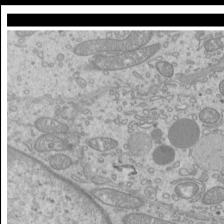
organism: Mouse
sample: Cilia; mouse epididymis